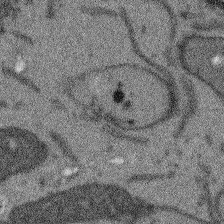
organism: Arabidopsis thaliana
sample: Root tip